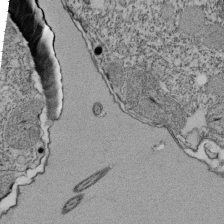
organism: Tetrahymena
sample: Cilia in tetrahymena